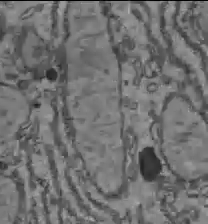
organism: C57BL Mouse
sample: Liver